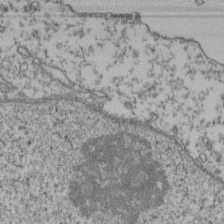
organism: Human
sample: Activated Jurkat CD4+ T cells